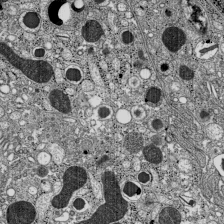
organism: C57BL Mouse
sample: Pancreatic islet